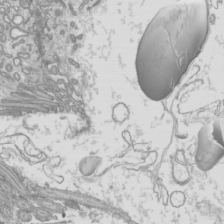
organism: Mouse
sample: Cilia; mouse epididymis